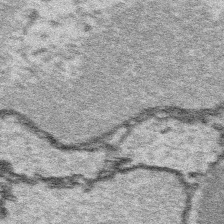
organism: Platynereis dumerilii